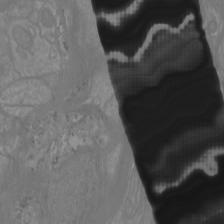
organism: Mouse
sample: Cortical neurons